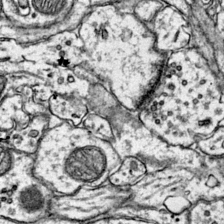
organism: Mouse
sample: Primary visual cortex